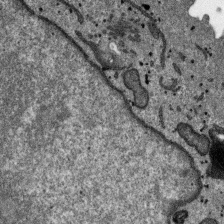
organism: Human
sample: Lung epithelial cells, uninfected (mock) control